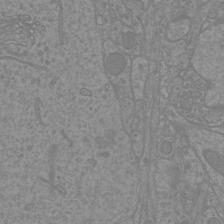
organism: Mouse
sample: Cortical neurons